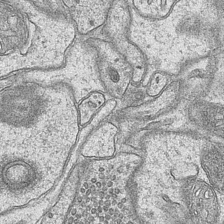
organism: Mouse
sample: CA1 Hippocampus